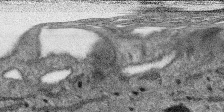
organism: Human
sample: Lung epithelial cells infected with SARS-CoV-2